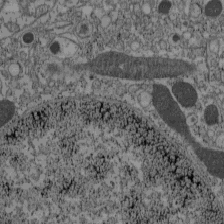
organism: C57BL Mouse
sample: Pancreatic islet